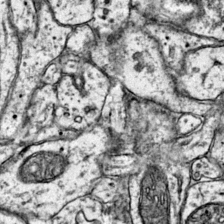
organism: Mouse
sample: Primary visual cortex